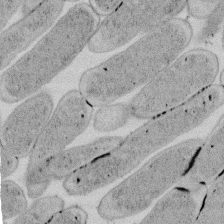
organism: E. coli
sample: Bacterial nucleoid